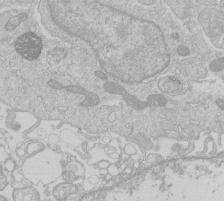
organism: Human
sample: Macrophage cells